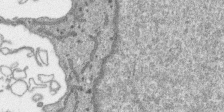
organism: Human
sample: Lung epithelial cells infected with SARS-CoV-2